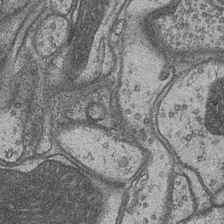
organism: Drosophila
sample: Optic medulla